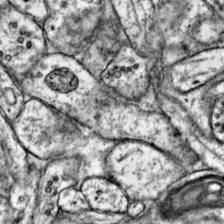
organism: Mouse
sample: Primary visual cortex